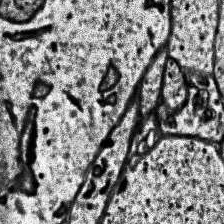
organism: Human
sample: Temporal Lobe